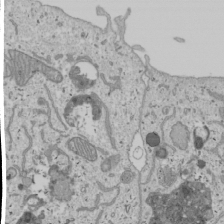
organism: Human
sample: Mitochondria in U2OS cells